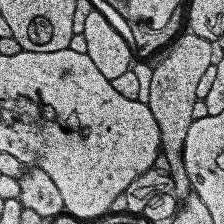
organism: Human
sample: Temporal Lobe